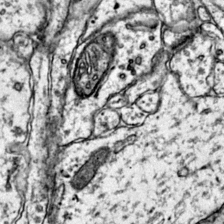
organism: Mouse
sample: Primary visual cortex